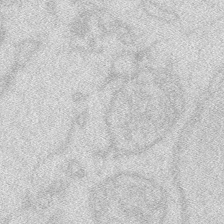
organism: Zebrafish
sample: Macrophage